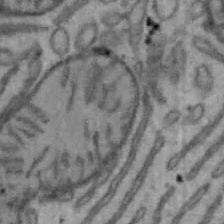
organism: Mouse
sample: Liver